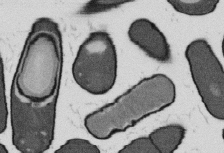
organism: B. subtilis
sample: Bacterial spore